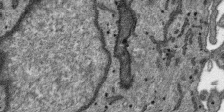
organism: Human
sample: Lung epithelial cells, uninfected (mock) control